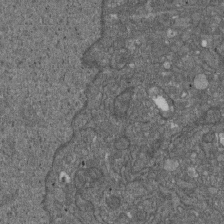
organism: Drosophila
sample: Nephrocyte